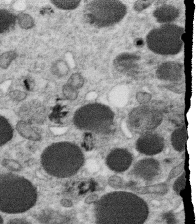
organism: C. elegans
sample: C. elegans oocyte; sperm cells